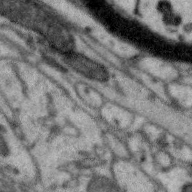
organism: Zebra finch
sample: Brain